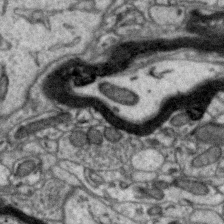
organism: Zebra finch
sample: Brain